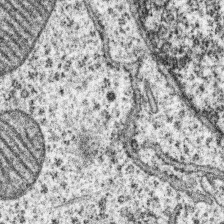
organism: Human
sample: HeLa cells